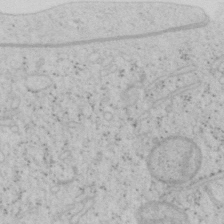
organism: Human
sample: HeLa cells